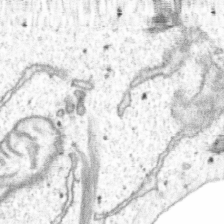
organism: Human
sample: HeLa cells